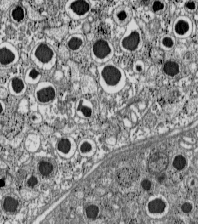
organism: C57BL Mouse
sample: Pancreatic islet